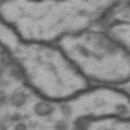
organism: Drosophila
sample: Brain